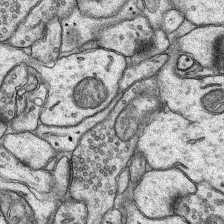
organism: Rat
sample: Hippocampus